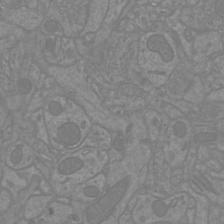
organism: Mouse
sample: Cortical neurons